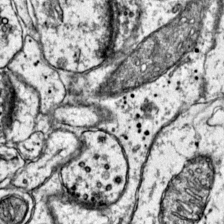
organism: Mouse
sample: Primary visual cortex